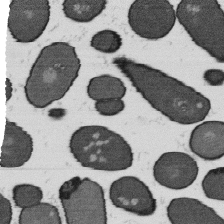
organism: B. subtilis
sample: Bacterial spore